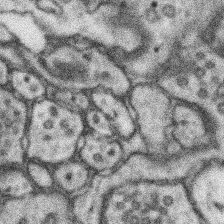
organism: Mouse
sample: Somatosensory cortex neuropil